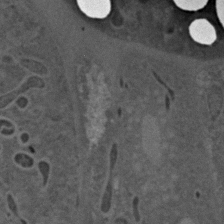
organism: C. elegans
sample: C. elegans embryo